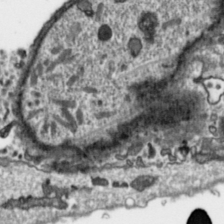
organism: Toxoplasma gondii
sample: Parasites in a vacuole inside a host cell